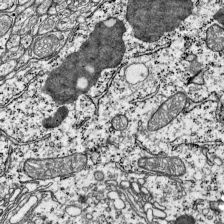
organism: Mouse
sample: Visual Cortex